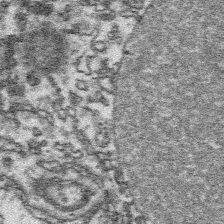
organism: Platynereis dumerilii